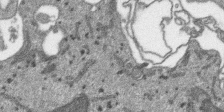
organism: Human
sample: Lung epithelial cells infected with SARS-CoV-2